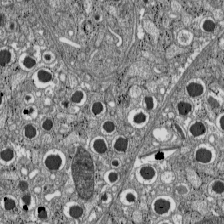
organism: C57BL Mouse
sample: Pancreatic islet